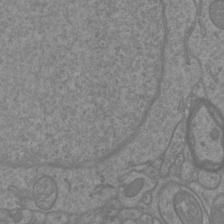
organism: Mouse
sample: Cortical neurons